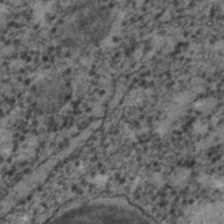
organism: C. elegans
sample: C. elegans embryo